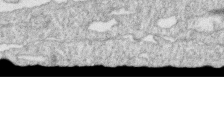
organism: Human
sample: HeLa cell HIV synapse